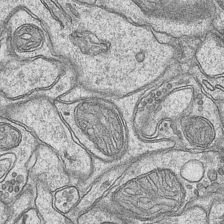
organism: Mouse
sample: CA1 Hippocampus